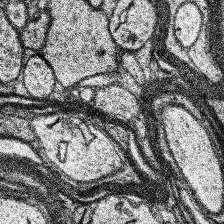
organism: Human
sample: Temporal Lobe